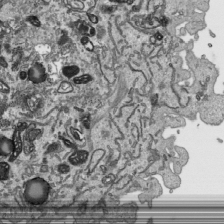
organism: Human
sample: Mitochondria in HCT116 cells